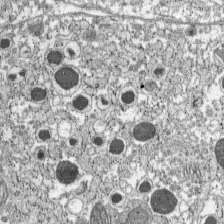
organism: C57BL Mouse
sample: Pancreatic islet